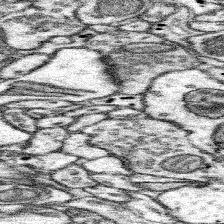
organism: Mouse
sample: Somatosensory cortex neuropil